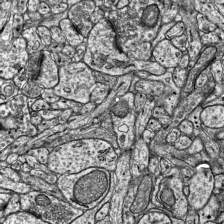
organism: Mouse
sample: Visual Cortex